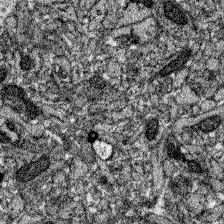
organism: Zebrafish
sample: Larval olfactory bulb